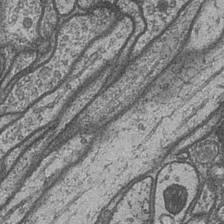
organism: Drosophila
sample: Optic medulla